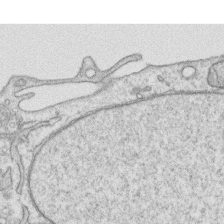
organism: Human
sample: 1205lu cells